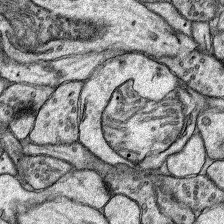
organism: Rat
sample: Hippocampus